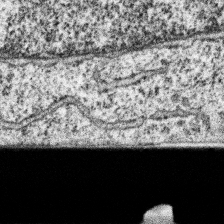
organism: Human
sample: HeLa cells